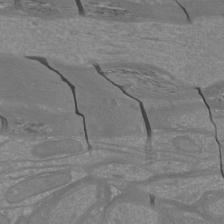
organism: Mouse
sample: Cortical neurons